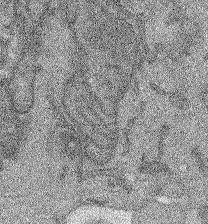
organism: Human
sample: HeLa cells